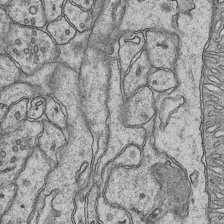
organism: Mouse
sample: CA1 Hippocampus